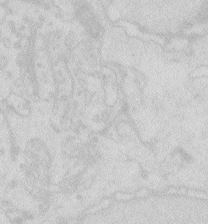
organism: Zebrafish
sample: Macrophage